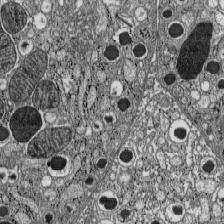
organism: C57BL Mouse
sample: Pancreatic islet